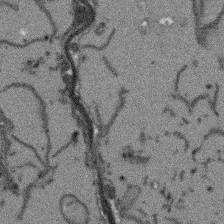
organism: Arabidopsis thaliana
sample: Root tip